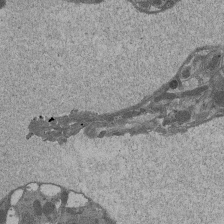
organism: Drosophila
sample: Antenna